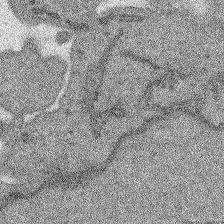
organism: Human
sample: HeLa cells